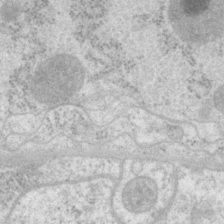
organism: P. pacificus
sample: Pharynx